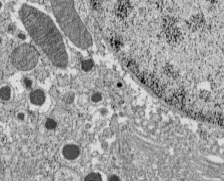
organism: C57BL Mouse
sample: Pancreatic islet